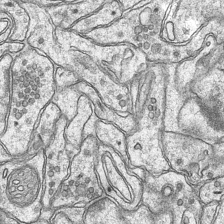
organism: Mouse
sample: CA1 Hippocampus